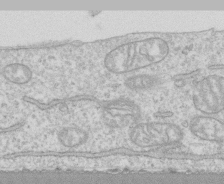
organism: Human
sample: CRL-1474